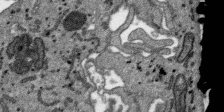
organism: Human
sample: Lung epithelial cells, uninfected (mock) control